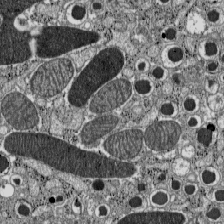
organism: C57BL Mouse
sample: Pancreatic islet